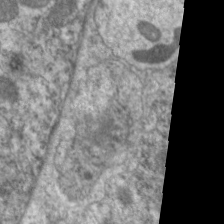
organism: C. elegans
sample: Pharynx